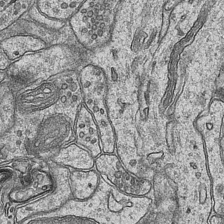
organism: Mouse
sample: CA1 Hippocampus